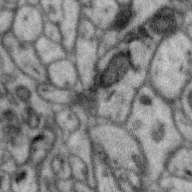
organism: Zebra finch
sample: Brain